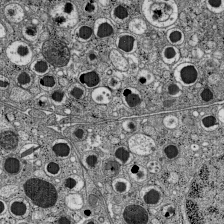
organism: C57BL Mouse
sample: Pancreatic islet